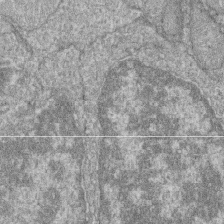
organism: Zebrafish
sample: Cilia; retinal pigment epithelium